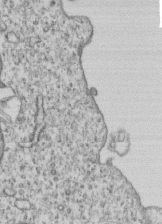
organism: Human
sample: MDA-MB-231 cells